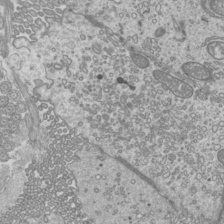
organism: Mouse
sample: Cilia; mouse epididymis